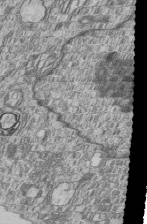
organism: Human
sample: MDA-MB-231 cells